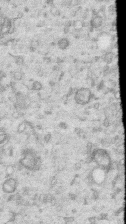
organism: Human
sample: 1205lu cells